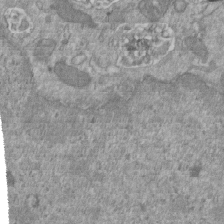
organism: Mouse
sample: ED-1 cell nuclei; centrioles